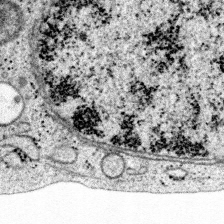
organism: Human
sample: HeLa cells